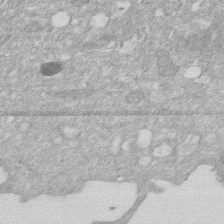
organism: Human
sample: HIV infected U937 cells